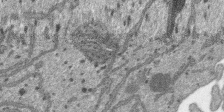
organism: Human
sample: Lung epithelial cells infected with SARS-CoV-2